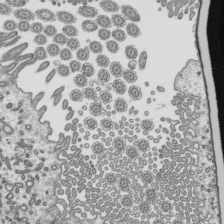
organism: Mouse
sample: Mouse epididymis efferent ductule cilia